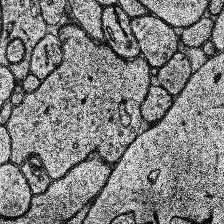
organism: Human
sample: Temporal Lobe